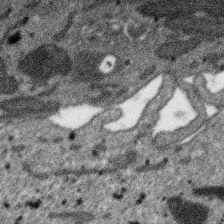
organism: Human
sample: Lung epithelial cells infected with SARS-CoV-2